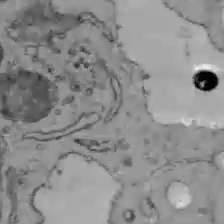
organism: C57BL Mouse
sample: Liver